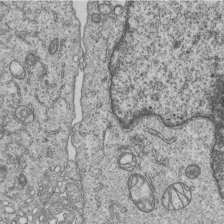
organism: Human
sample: MDA-MB-231 cells